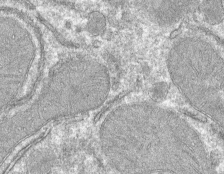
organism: Mouse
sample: Mouse hepatocytes